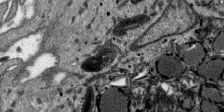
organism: Human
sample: Lung epithelial cells, uninfected (mock) control